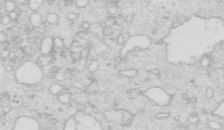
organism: Mouse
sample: Multiciliated cells